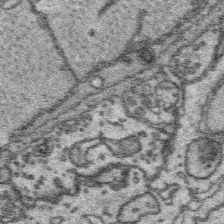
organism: Platynereis dumerilii